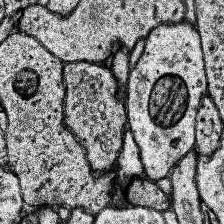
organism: Human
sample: Temporal Lobe